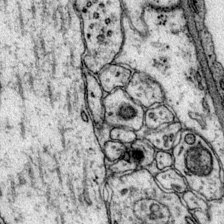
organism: Mouse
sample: Primary visual cortex